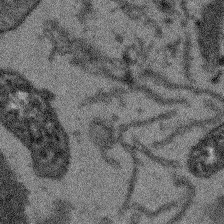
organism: Arabidopsis thaliana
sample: Root tip